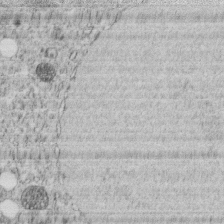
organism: C. elegans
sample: C. elegans embryo early stage